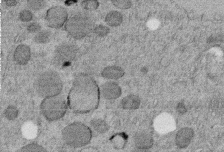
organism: C. elegans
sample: C. elegans embryo early stage